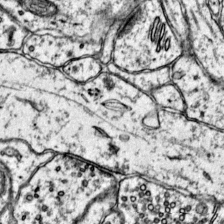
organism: Mouse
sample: Primary visual cortex